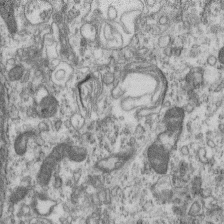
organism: Mouse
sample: Centriole in ependymal cells